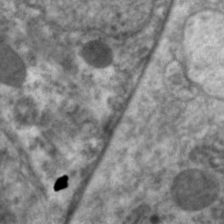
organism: C. elegans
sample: Pharynx